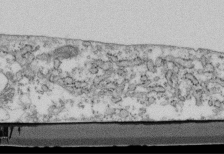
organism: Mouse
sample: Cilia; retinal pigment epithelium